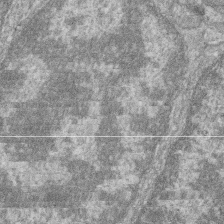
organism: Zebrafish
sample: Cilia; retinal pigment epithelium